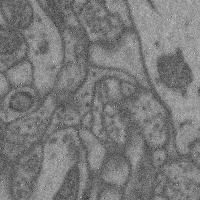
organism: Mouse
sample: Cerebral cortex